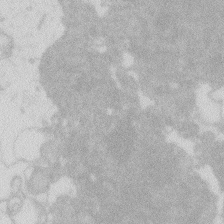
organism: Zebrafish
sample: Macrophage